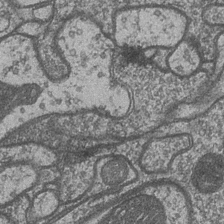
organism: Drosophila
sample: Optic medulla